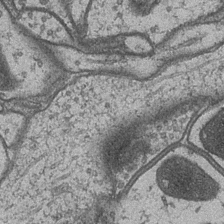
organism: Drosophila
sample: Optic medulla